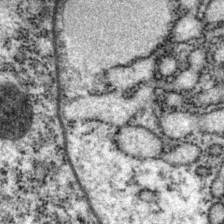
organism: P. pacificus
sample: Pharynx